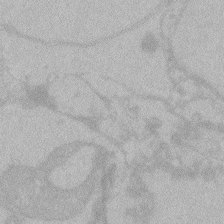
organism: Zebrafish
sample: Macrophage infected with Toxoplasma gondii